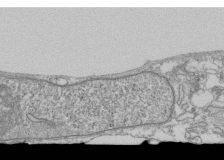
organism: Human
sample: Fibroblast cells